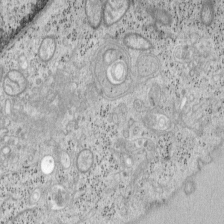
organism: Mouse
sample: OT-I killer T cells with ID8 ovarian cancer cells